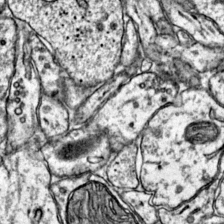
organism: Mouse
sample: Primary visual cortex